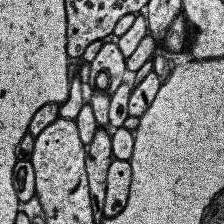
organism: Human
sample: Temporal Lobe